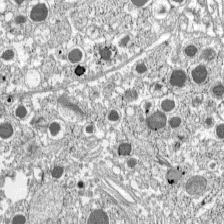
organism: C57BL Mouse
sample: Pancreatic islet